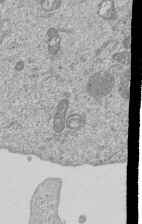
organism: Human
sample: MDA-MB-231 cells